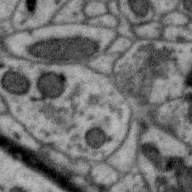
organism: Zebra finch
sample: Brain